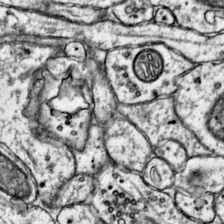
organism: Mouse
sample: Primary visual cortex